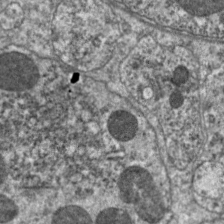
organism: C. elegans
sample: Pharynx